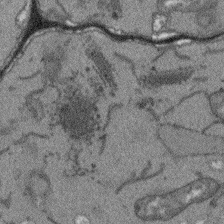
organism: Arabidopsis thaliana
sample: Root tip